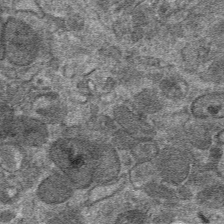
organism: Mouse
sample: Mouse hepatocytes